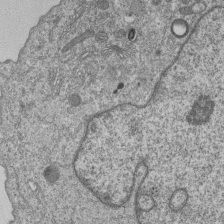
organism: Human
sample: MDA-MB-231 cells